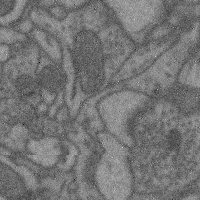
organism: Mouse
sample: Cerebral cortex